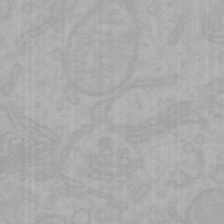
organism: Mouse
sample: Choroid plexus